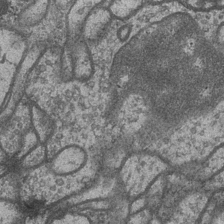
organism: Drosophila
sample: Optic medulla